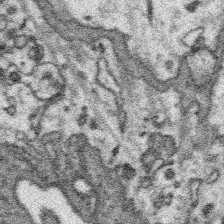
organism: Platynereis dumerilii